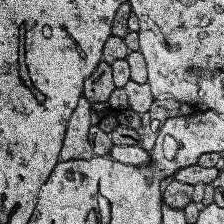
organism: Human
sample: Temporal Lobe